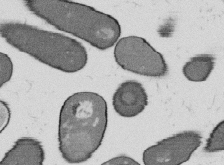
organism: B. subtilis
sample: Bacterial spore